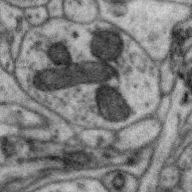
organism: Zebra finch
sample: Brain